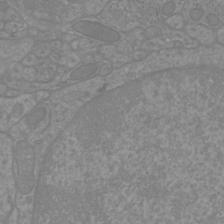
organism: Mouse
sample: Cortical neurons